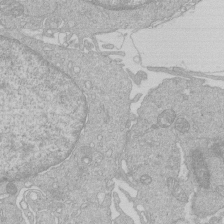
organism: Human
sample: Macrophage cells